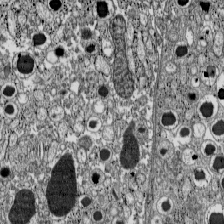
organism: C57BL Mouse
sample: Pancreatic islet